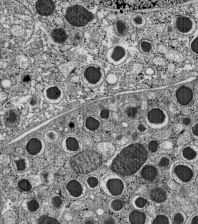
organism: C57BL Mouse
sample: Pancreatic islet